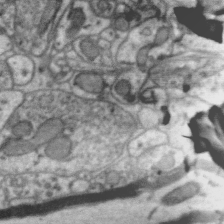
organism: Zebra finch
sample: Brain